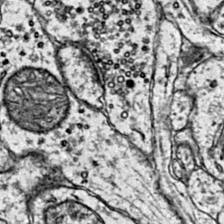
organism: Mouse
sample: Primary visual cortex